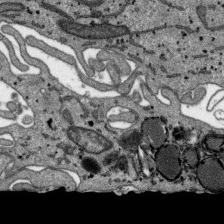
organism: Human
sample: Lung epithelial cells, uninfected (mock) control